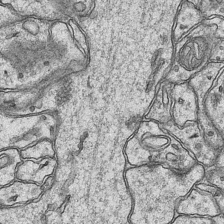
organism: Mouse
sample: CA1 Hippocampus